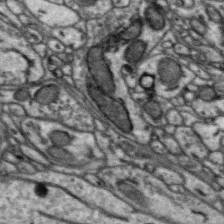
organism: Zebra finch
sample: Brain